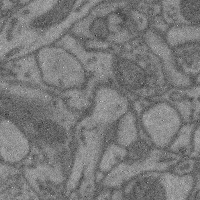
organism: Mouse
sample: Cerebral cortex